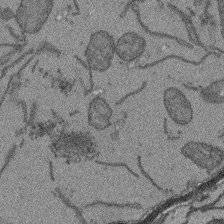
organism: Arabidopsis thaliana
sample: Root tip